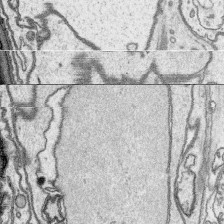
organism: Platynereis dumerilii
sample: Parapodia